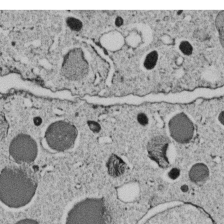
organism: C. elegans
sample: C. elegans embryo early stage